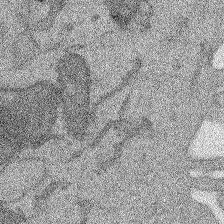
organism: Human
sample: HeLa cells